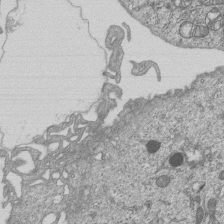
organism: Human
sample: MDA-MB-231 cells